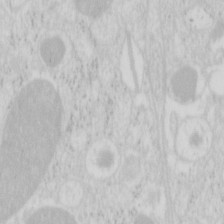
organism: Mouse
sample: Pancreas